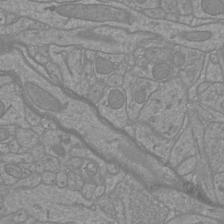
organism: Mouse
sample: Cortical neurons